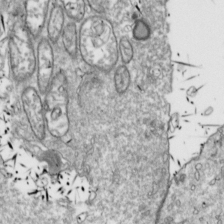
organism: Drosophila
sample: Cell division; meiosis; drosophila spermatocytes